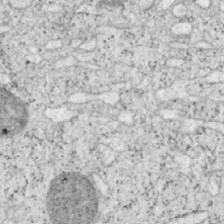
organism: Mouse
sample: OT-I killer T cells with ID8 ovarian cancer cells